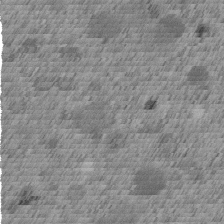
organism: C. elegans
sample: C. elegans embryo early stage